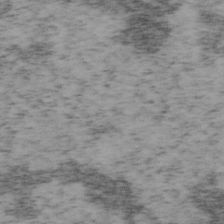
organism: Mouse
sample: OT-I killer T cells with ID8 ovarian cancer cells